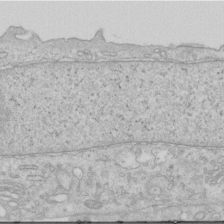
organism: Human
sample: Centriole in RPE cells